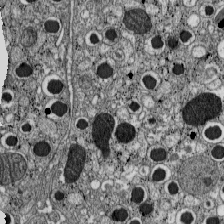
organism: C57BL Mouse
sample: Pancreatic islet